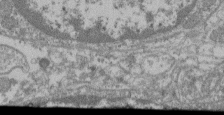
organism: Mouse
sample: Glomerulus